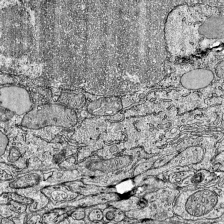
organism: Mouse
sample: Visual Cortex